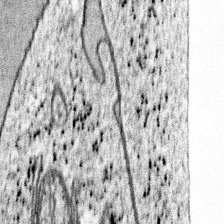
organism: Human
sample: HeLa cells